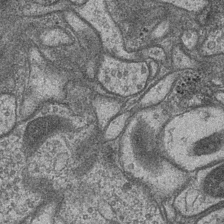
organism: Drosophila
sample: Optic medulla